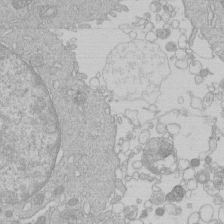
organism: Human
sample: Macrophage cells